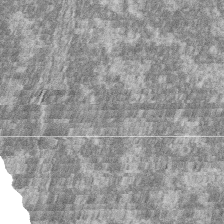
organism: Zebrafish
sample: Cilia; retinal pigment epithelium